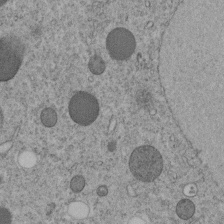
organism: C. elegans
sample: C. elegans embryo early stage